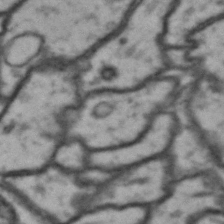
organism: Drosophila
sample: Brain